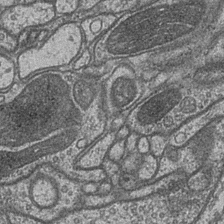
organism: Drosophila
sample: Optic medulla